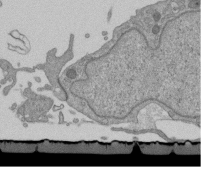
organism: Mouse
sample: ED-1 cell nuclei; centrioles